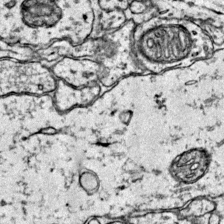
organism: Mouse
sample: Primary visual cortex